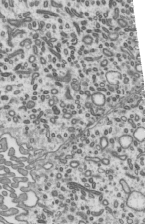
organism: Mouse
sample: Mouse epididymis efferent ductule cilia